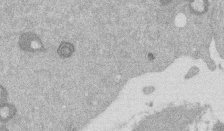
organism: Mouse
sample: Dividing mouse embryo 1 cell stage